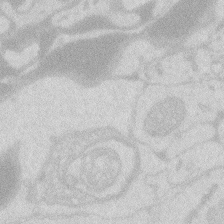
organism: Zebrafish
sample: Macrophage